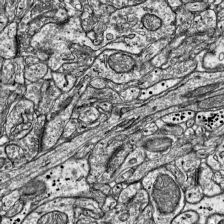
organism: Mouse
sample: Visual Cortex